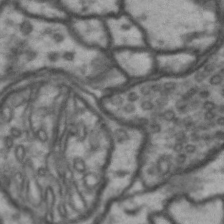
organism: Drosophila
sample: Brain